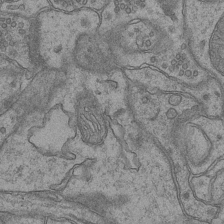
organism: Mouse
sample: CA1 Hippocampus